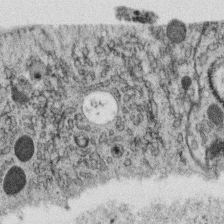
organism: C. elegans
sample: C. elegans oocyte; sperm cells